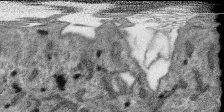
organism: Human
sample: Lung epithelial cells infected with SARS-CoV-2